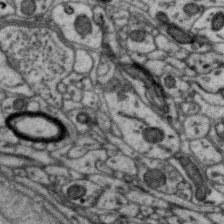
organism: Zebra finch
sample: Brain